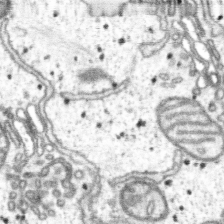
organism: Human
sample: HeLa cells